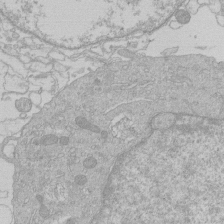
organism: Human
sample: Macrophage cells